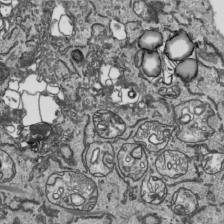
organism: Human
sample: Mitochondria in HCT116 cells